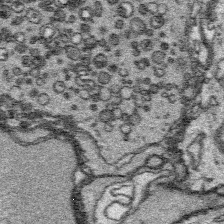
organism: Platynereis dumerilii